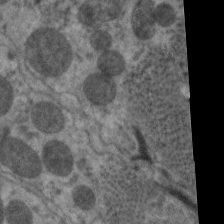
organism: C. elegans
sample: Pharynx